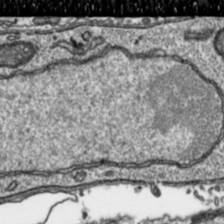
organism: Toxoplasma gondii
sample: Parasites in a vacuole inside a host cell